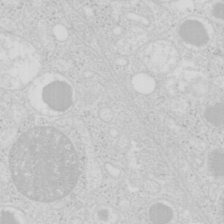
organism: Mouse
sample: Pancreas